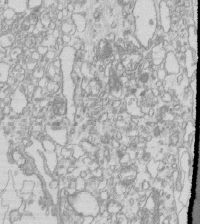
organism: Mouse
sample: Macrophages